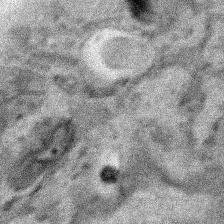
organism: Human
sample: Mitochondria in HCT116 cells